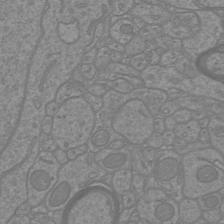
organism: Mouse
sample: Cortical neurons